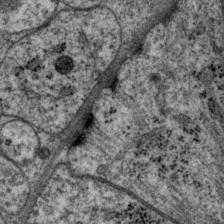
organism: P. pacificus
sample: Pharynx